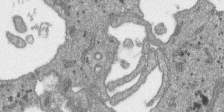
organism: Human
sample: Lung epithelial cells infected with SARS-CoV-2